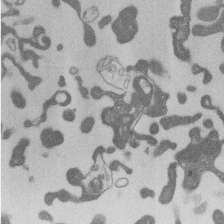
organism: Mouse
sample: Dividing mouse embryo 1 cell stage